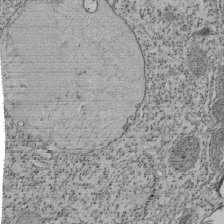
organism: Tetrahymena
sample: Cilia in tetrahymena